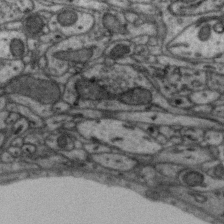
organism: Zebra finch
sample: Brain